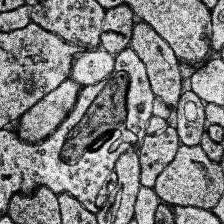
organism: Human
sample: Temporal Lobe